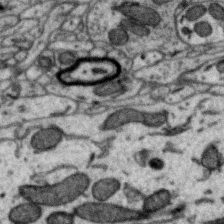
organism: Zebra finch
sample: Brain